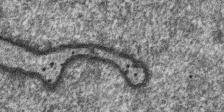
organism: Human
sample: Lung epithelial cells infected with SARS-CoV-2